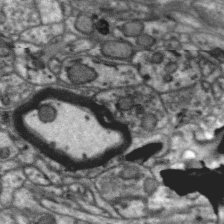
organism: Zebra finch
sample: Brain